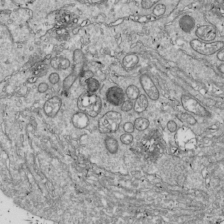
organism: Drosophila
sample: Cell division; meiosis; drosophila spermatocytes